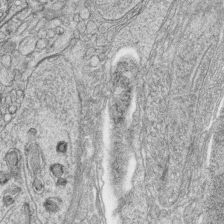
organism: Zebrafish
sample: synaptic ribbons in rod cells and cone cells